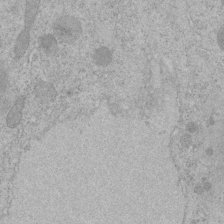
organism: C. elegans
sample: C. elegans embryo early stage